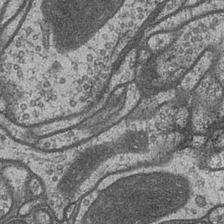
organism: Drosophila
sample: Optic medulla